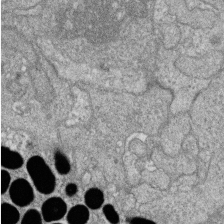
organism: Zebrafish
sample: Cilia; retinal pigment epithelium